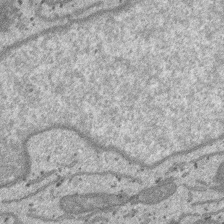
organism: Human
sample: Lung epithelial cells infected with SARS-CoV-2